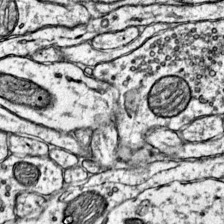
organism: Mouse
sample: Primary visual cortex